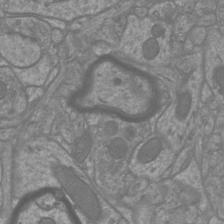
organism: Mouse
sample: Cortical neurons